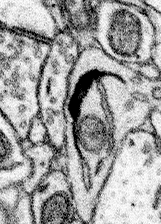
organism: Mouse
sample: Somatosensory cortex neuropil